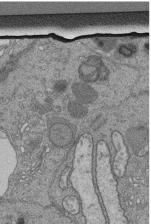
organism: Human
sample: Retinal organoid Rod and Cone cells